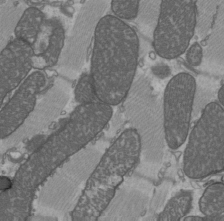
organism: C57BL Mouse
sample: Heart